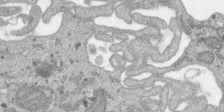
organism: Human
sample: Lung epithelial cells infected with SARS-CoV-2